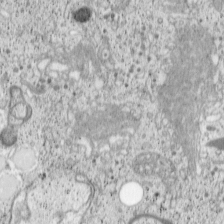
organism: African green monkey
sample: COS-7 cells